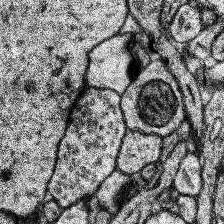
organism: Human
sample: Temporal Lobe